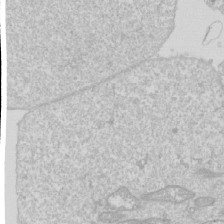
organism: Drosophila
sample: Cell division; meiosis; drosophila spermatocytes